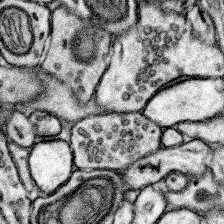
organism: Mouse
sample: Somatosensory cortex neuropil